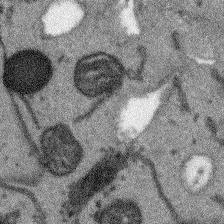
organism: Arabidopsis thaliana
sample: Root tip